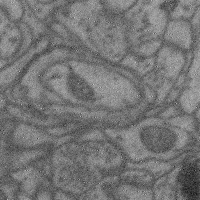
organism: Mouse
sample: Cerebral cortex